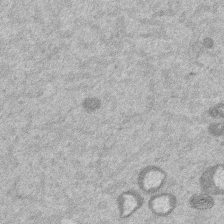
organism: Mouse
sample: Dividing mouse embryo 1 cell stage